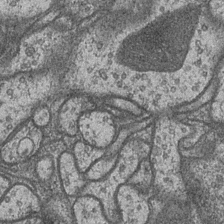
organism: Drosophila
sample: Optic medulla